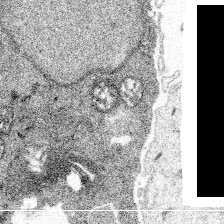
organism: Spongilla lacustris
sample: Multiple